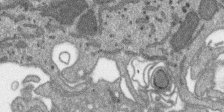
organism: Human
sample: Lung epithelial cells infected with SARS-CoV-2